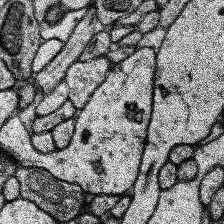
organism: Human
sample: Temporal Lobe